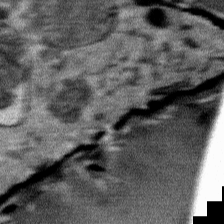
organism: Mouse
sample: Mouse Salivary gland